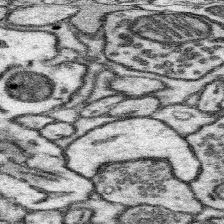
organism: Mouse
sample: Somatosensory cortex neuropil